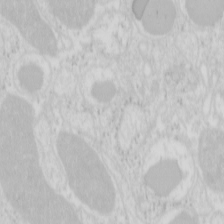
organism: Mouse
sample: Pancreas